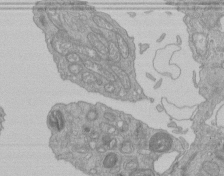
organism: Human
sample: Retinal organoid Rod and Cone cells